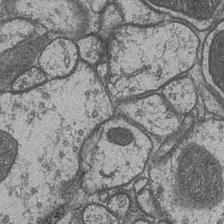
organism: Drosophila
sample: Optic medulla